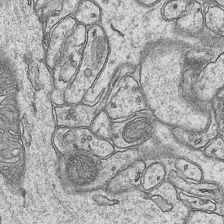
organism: Mouse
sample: CA1 Hippocampus